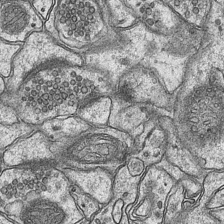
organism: Mouse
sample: CA1 Hippocampus